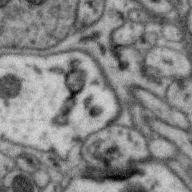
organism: Zebra finch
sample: Brain